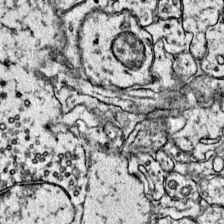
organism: Mouse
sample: Primary visual cortex